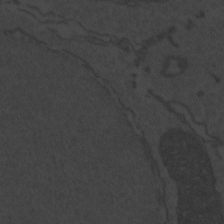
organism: Zebrafish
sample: Macrophage infected with Toxoplasma gondii